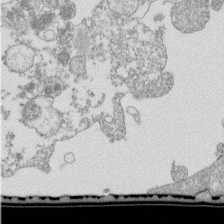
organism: Human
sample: HeLa cell HIV synapse